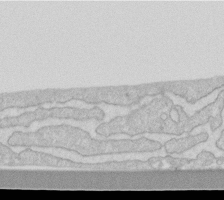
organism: Human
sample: Fibroblast cells